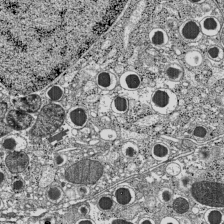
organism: C57BL Mouse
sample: Pancreatic islet